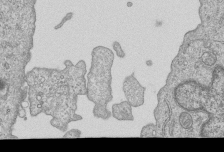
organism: Human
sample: MDA-MB-231 cells